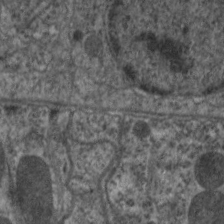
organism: C. elegans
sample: Pharynx